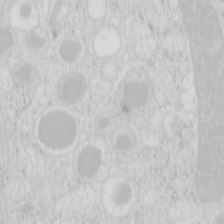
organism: Mouse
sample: Pancreas